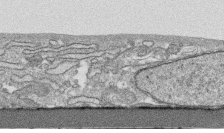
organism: Human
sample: CRL-1474